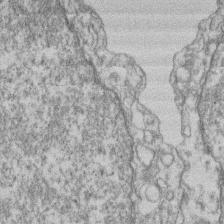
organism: Mouse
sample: T cell stromal cell synapse